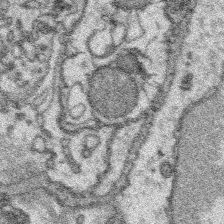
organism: Platynereis dumerilii